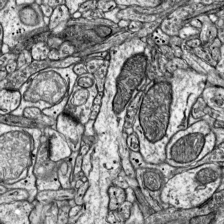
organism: Mouse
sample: Visual Cortex